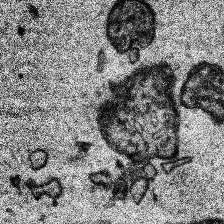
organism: Human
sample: Temporal Lobe